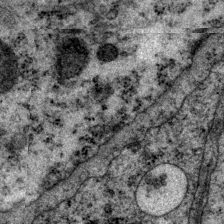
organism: P. pacificus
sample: Pharynx